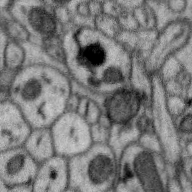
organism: Zebra finch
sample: Brain